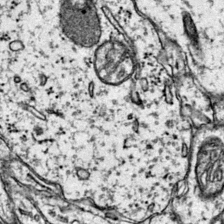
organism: Mouse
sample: Primary visual cortex